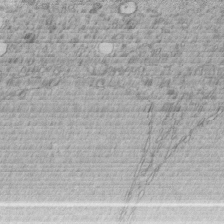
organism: C. elegans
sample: C. elegans embryo early stage